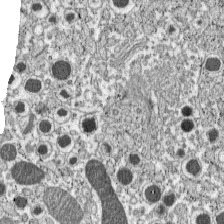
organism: C57BL Mouse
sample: Pancreatic islet